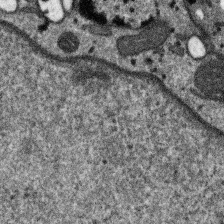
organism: Human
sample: Lung epithelial cells infected with SARS-CoV-2